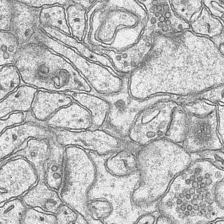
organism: Mouse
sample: CA1 Hippocampus